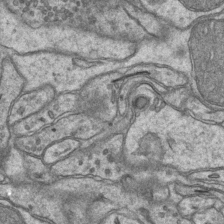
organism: Mouse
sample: CA1 Hippocampus